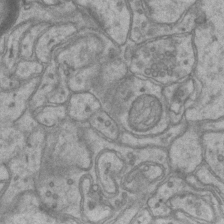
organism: Mouse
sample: CA1 Hippocampus